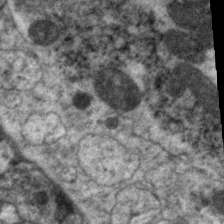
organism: C. elegans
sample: Pharynx